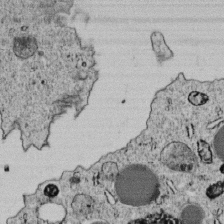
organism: C. elegans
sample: C. elegans embryo early stage